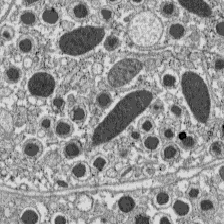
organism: C57BL Mouse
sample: Pancreatic islet